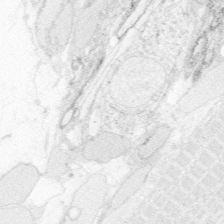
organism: Zebrafish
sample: Whole-Brain